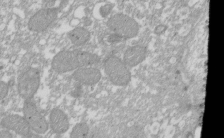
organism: Xenopus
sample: Cilia; centrioles in frog embryo cells